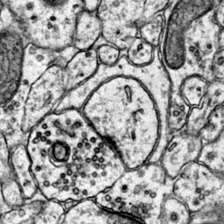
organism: Mouse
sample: Primary visual cortex